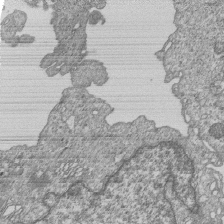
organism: Human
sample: MDA-MB-231 cells